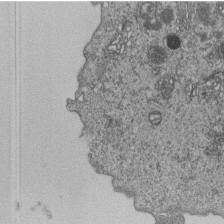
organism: Human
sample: MDA-MB-231 cells